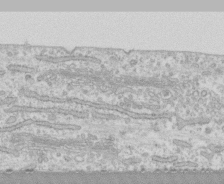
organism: Human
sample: CRL-1474